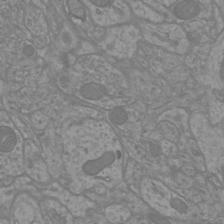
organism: Mouse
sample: Cortical neurons